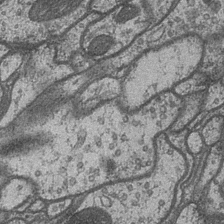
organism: Drosophila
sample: Optic medulla